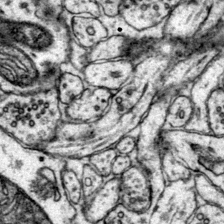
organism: Mouse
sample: Primary visual cortex